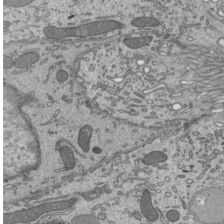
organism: Mouse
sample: Mouse epididymis efferent ductule cilia